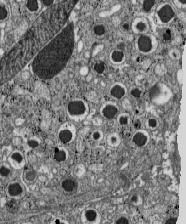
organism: C57BL Mouse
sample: Pancreatic islet